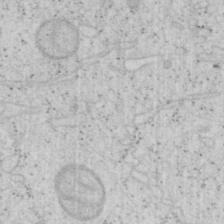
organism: Human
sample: HeLa cells